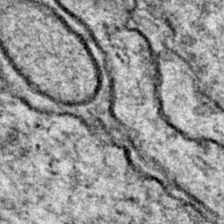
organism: Zebrafish